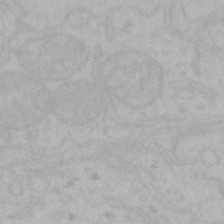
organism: Mouse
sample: Choroid plexus